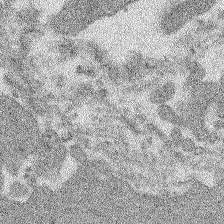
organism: Human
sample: HeLa cells